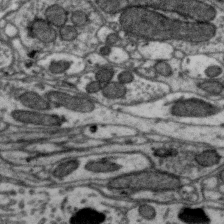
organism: Zebra finch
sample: Brain